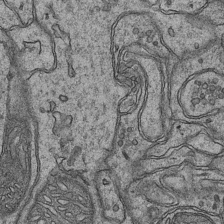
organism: Mouse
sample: CA1 Hippocampus